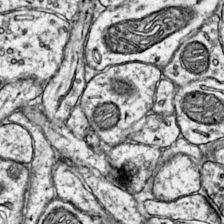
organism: Mouse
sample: Primary visual cortex